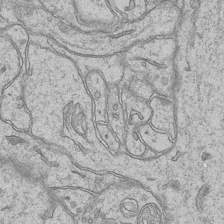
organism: Mouse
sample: CA1 Hippocampus